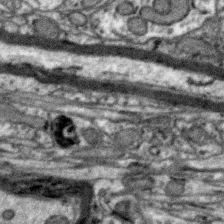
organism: Zebra finch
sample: Brain